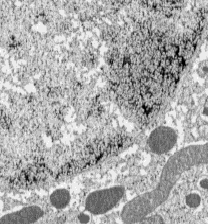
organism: C57BL Mouse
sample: Pancreatic islet